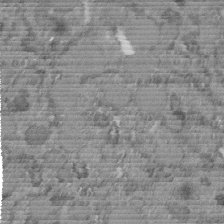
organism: C. elegans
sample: C. elegans embryo early stage